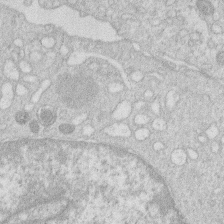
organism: Human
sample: Macrophage cells